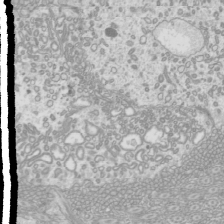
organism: Mouse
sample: Cilia; mouse epididymis